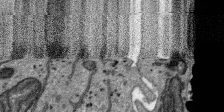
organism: Human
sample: Lung epithelial cells, uninfected (mock) control